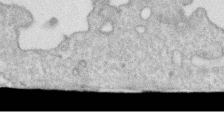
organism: Human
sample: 1205lu cells